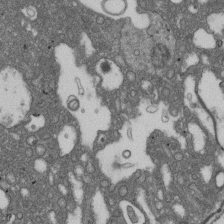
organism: Drosophila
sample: Nephrocyte